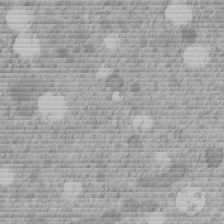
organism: C. elegans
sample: C. elegans embryo early stage